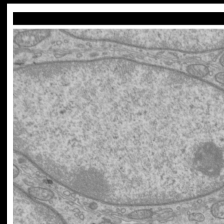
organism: Mouse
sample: Cilia; mouse epididymis